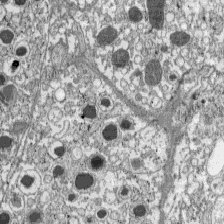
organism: C57BL Mouse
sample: Pancreatic islet